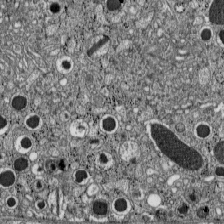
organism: C57BL Mouse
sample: Pancreatic islet